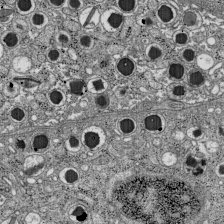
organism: C57BL Mouse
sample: Pancreatic islet